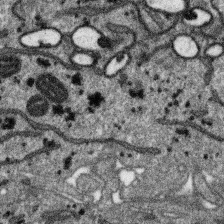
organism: Human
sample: Lung epithelial cells infected with SARS-CoV-2